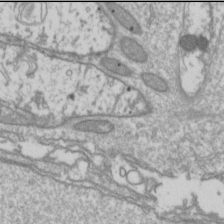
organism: Drosophila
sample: Cell division; meiosis; drosophila spermatocytes